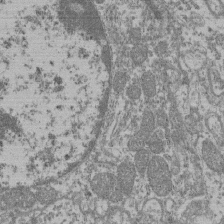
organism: Mouse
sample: Glomerulus